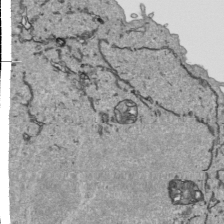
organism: Human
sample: Mitochondria in HCT116 cells